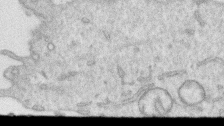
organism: Human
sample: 1205lu cells